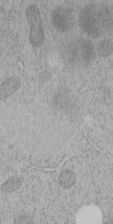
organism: C. elegans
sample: C. elegans embryo early stage